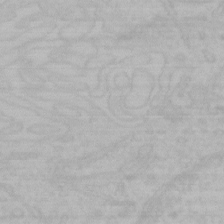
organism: Mouse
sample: Choroid plexus